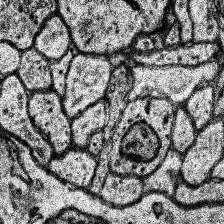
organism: Human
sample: Temporal Lobe